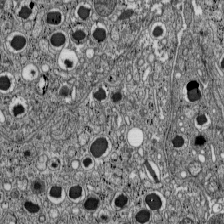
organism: C57BL Mouse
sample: Pancreatic islet